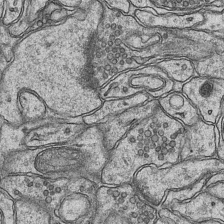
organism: Mouse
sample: CA1 Hippocampus